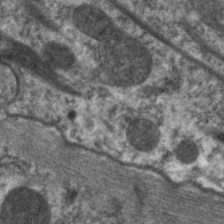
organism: C. elegans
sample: Pharynx